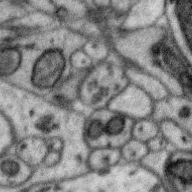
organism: Zebra finch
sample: Brain